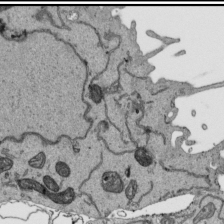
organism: Human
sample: Mitochondria in HCT116 cells